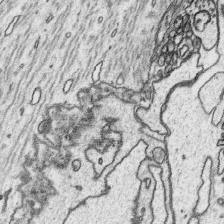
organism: Platynereis dumerilii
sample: Parapodia